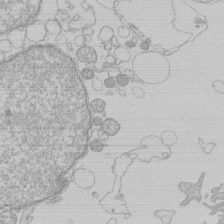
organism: Human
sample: Macrophage cells